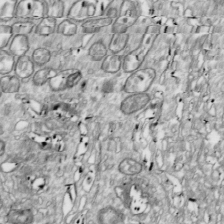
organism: Drosophila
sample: Cell division; meiosis; drosophila spermatocytes